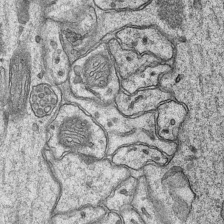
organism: Mouse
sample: CA1 Hippocampus